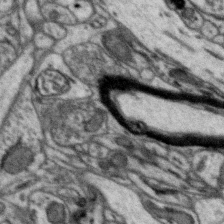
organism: Zebra finch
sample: Brain